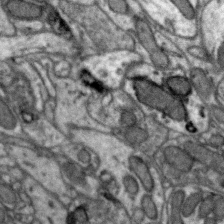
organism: Zebra finch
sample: Brain